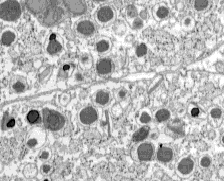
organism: C57BL Mouse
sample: Pancreatic islet